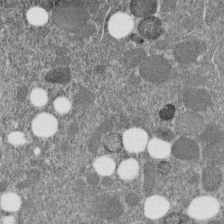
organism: C. elegans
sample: C. elegans embryo early stage